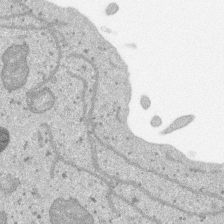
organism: Human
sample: Lung epithelial cells infected with SARS-CoV-2